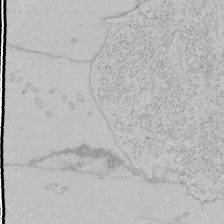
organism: Human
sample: Mitochondria in HCT116 cells